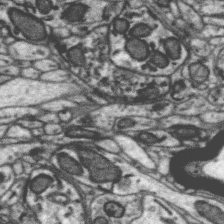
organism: Zebra finch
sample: Brain